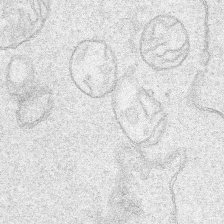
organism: Human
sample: Mitochondria in HCT116 cells